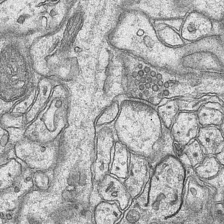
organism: Mouse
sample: CA1 Hippocampus